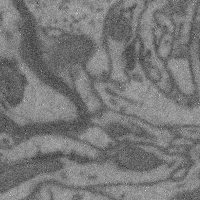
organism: Mouse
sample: Cerebral cortex